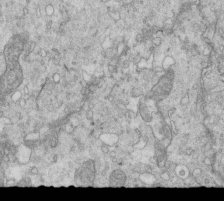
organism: Mouse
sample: Multiciliated cells